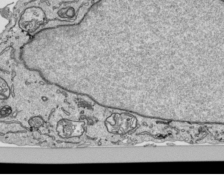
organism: Human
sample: Mitochondria in HCT116 cells